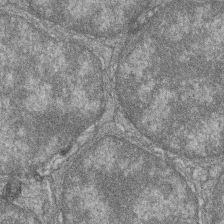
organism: Zebrafish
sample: Cilia; retinal pigment epithelium